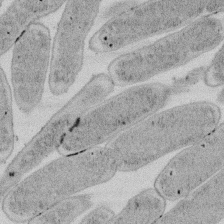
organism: E. coli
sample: Bacterial nucleoid